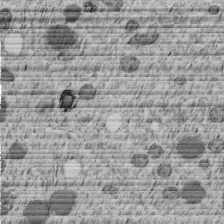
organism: C. elegans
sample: C. elegans embryo early stage